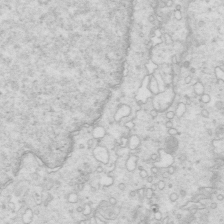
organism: Mouse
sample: Multiciliated cells